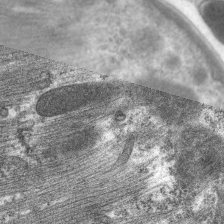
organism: C. elegans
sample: Pharynx